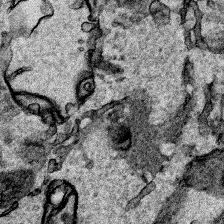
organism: Human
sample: Mitochondria in HCT116 cells